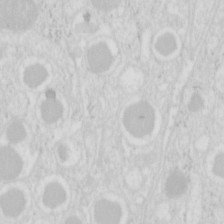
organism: Mouse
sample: Pancreas